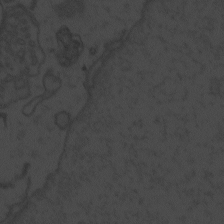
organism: Zebrafish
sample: Macrophage infected with Toxoplasma gondii